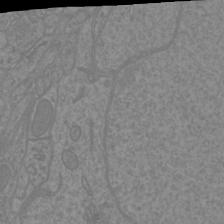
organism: Mouse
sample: Cortical neurons